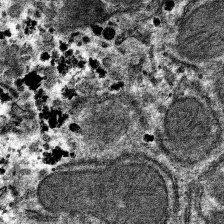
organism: Mouse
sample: Mouse hepatocytes